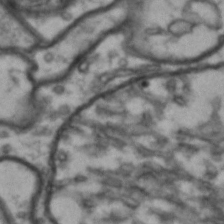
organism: Drosophila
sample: Brain